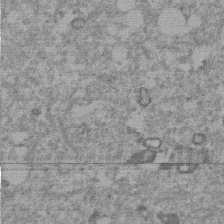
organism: Mouse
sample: Dividing mouse embryo 1 cell stage